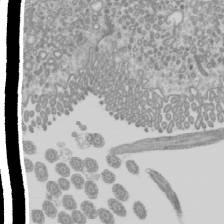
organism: Mouse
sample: Cilia; mouse epididymis